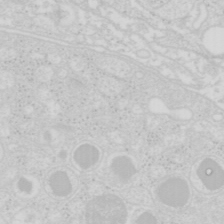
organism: Mouse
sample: Pancreas